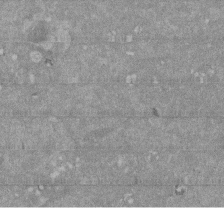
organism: Mouse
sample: ED-1 cell nuclei; centrioles